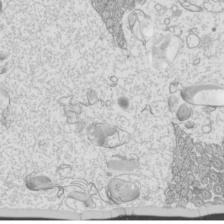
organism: Mouse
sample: Cilia; mouse epididymis